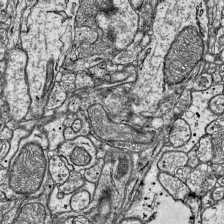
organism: Mouse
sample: Visual Cortex